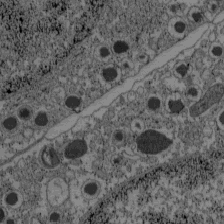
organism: C57BL Mouse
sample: Pancreatic islet